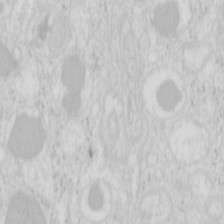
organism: Mouse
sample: Pancreas